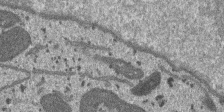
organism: Human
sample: Lung epithelial cells infected with SARS-CoV-2